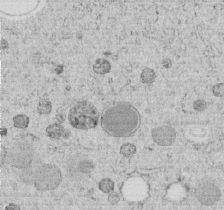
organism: C. elegans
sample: C. elegans embryo early stage